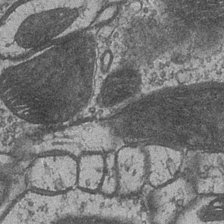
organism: Drosophila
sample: Optic medulla